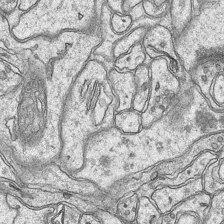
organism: Mouse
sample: CA1 Hippocampus